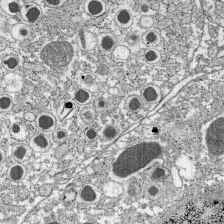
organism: C57BL Mouse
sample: Pancreatic islet